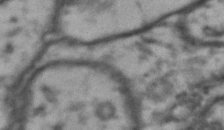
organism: Drosophila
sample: Brain